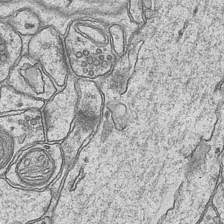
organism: Mouse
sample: CA1 Hippocampus